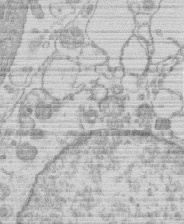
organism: Human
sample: Macrophage cells